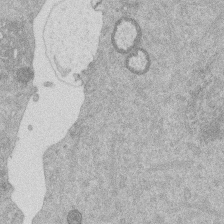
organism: Mouse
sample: Dividing mouse embryo 1 cell stage